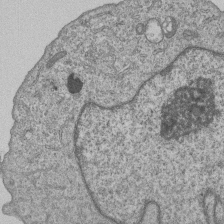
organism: Human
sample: MDA-MB-231 cells